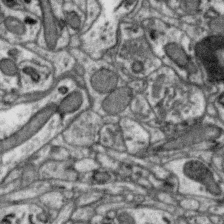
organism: Zebra finch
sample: Brain